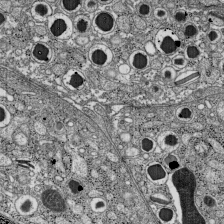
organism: C57BL Mouse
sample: Pancreatic islet